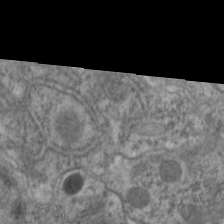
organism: C. elegans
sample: Pharynx